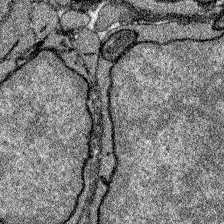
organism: Zebrafish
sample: Larval olfactory bulb